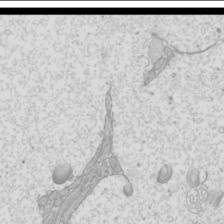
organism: Mouse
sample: Cilia; mouse epididymis